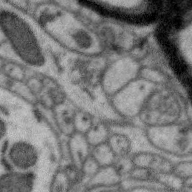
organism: Zebra finch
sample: Brain